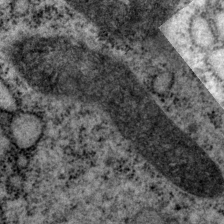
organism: P. pacificus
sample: Pharynx